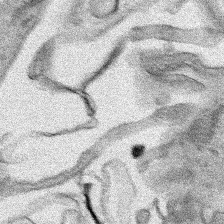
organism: Human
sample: Mitochondria in HCT116 cells